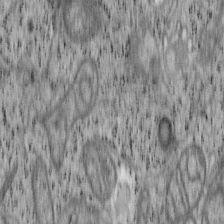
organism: Human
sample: HeLa cells